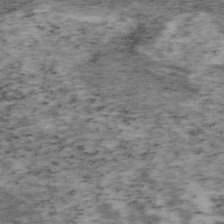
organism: Mouse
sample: OT-I killer T cells with ID8 ovarian cancer cells